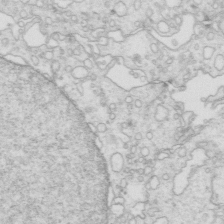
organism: Mouse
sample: Multiciliated cells